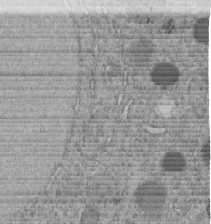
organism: C. elegans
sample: C. elegans embryo early stage